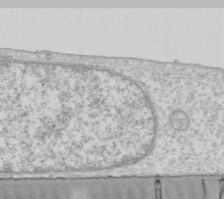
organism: Human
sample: Fibroblast cells